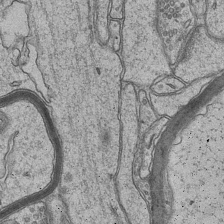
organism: Mouse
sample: CA1 Hippocampus